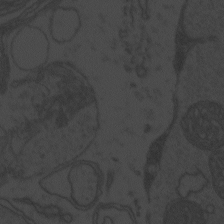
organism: Zebrafish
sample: Macrophage infected with Toxoplasma gondii